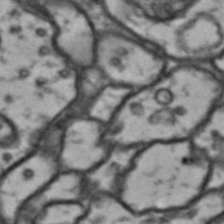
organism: Drosophila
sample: Brain